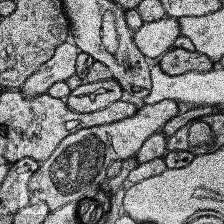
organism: Human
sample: Temporal Lobe